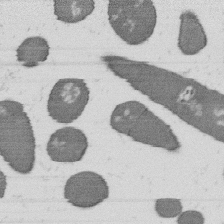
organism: B. subtilis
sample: Bacterial spore